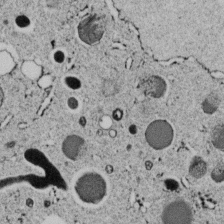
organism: C. elegans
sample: C. elegans embryo early stage